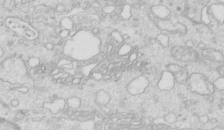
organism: Mouse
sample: Multiciliated cells